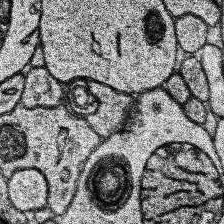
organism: Human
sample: Temporal Lobe